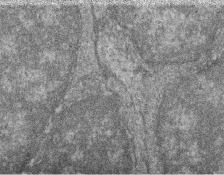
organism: Zebrafish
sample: Cilia; retinal pigment epithelium